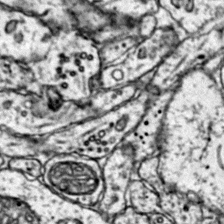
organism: Mouse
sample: Primary visual cortex